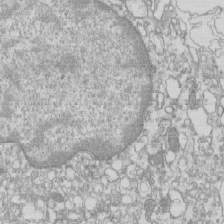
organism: Mouse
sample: Macrophages